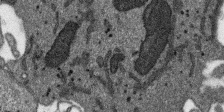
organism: Human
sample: Lung epithelial cells infected with SARS-CoV-2